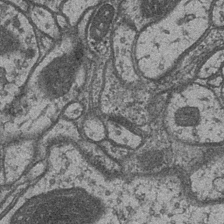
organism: Drosophila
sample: Optic medulla